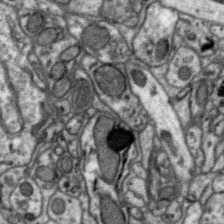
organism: Zebra finch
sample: Brain